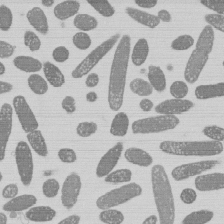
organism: E. coli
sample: Bacterial nucleoid